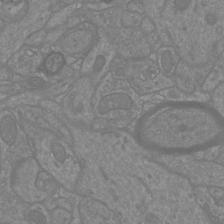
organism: Mouse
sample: Cortical neurons